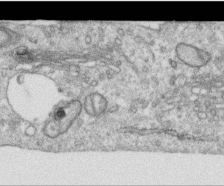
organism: Human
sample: Centriole in RPE cells